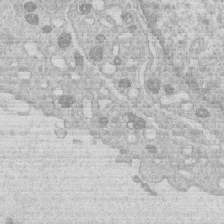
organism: Human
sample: Macrophage cells